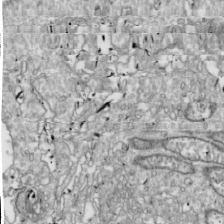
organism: Drosophila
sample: Cell division; meiosis; drosophila spermatocytes